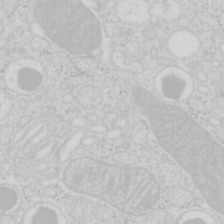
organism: Mouse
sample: Pancreas